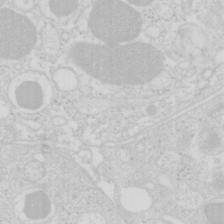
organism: Mouse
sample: Pancreas